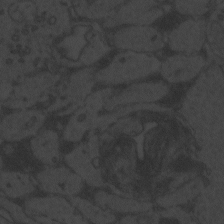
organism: Zebrafish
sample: Macrophage infected with Toxoplasma gondii